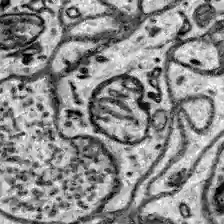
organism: Zebrafish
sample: Brain